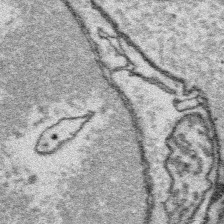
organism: Platynereis dumerilii